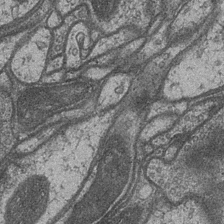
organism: Drosophila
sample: Optic medulla